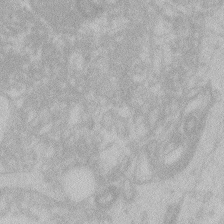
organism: Zebrafish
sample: Macrophage infected with Toxoplasma gondii